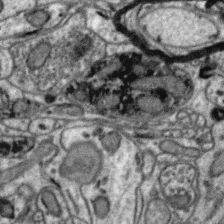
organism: Zebra finch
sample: Brain